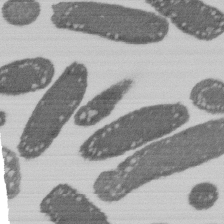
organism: E. coli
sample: Bacterial nucleoid